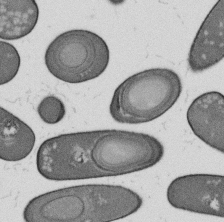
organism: B. subtilis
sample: Bacterial spore